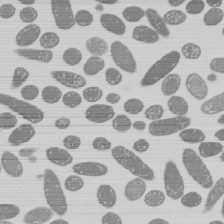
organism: E. coli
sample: Bacterial nucleoid